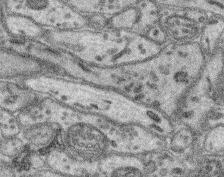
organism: Mouse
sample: Retina